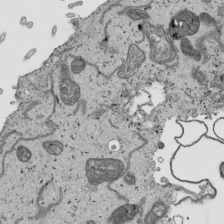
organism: Human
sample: Mitochondria in HCT116 cells